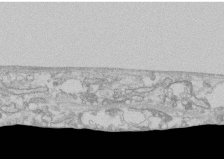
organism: Human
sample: CRL-1474